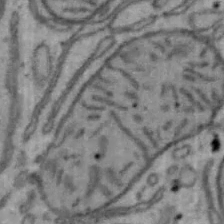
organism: Mouse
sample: Liver